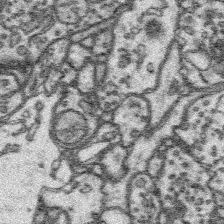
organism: Platynereis dumerilii